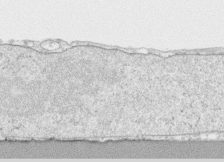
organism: Human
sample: CRL-1474